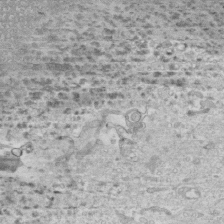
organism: Human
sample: CRL-1474